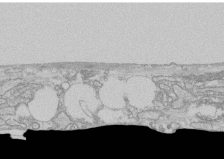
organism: Human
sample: CRL-1474